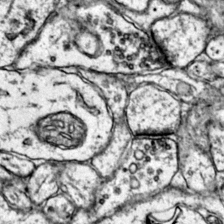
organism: Mouse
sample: Primary visual cortex